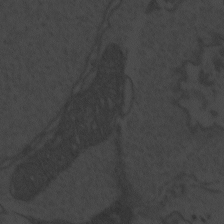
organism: Zebrafish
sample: Macrophage infected with Toxoplasma gondii